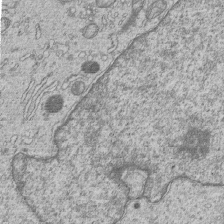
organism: Human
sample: MDA-MB-231 cells